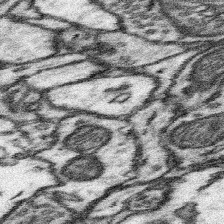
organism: Mouse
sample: Somatosensory cortex neuropil